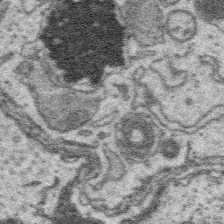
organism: Platynereis dumerilii